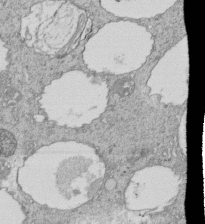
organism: Tetrahymena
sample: Cilia in tetrahymena